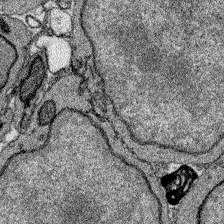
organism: Zebrafish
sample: Larval olfactory bulb